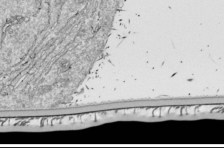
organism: Drosophila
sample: Cell division; meiosis; drosophila spermatocytes